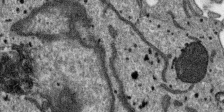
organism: Human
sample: Lung epithelial cells, uninfected (mock) control